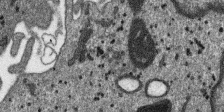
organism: Human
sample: Lung epithelial cells infected with SARS-CoV-2